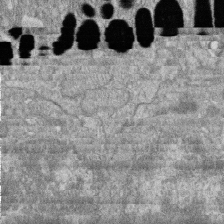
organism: Zebrafish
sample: Cilia; retinal pigment epithelium